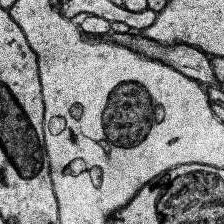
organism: Human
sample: Temporal Lobe